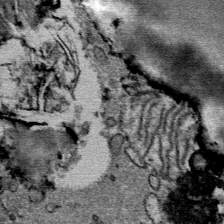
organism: Mouse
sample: Mouse Salivary gland